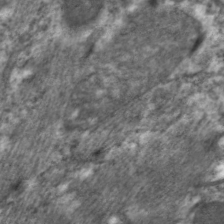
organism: C. elegans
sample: Pharynx